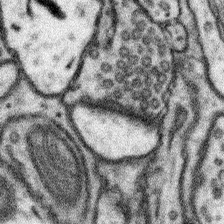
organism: Mouse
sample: Somatosensory cortex neuropil